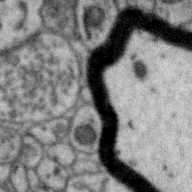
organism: Zebra finch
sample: Brain